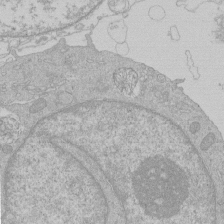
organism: Human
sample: Macrophage cells